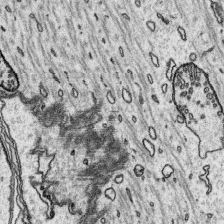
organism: Platynereis dumerilii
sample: Parapodia